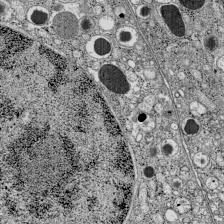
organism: C57BL Mouse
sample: Pancreatic islet